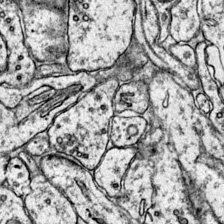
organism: Mouse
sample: Primary visual cortex